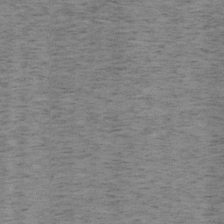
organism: Mouse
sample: OT-I killer T cells with ID8 ovarian cancer cells